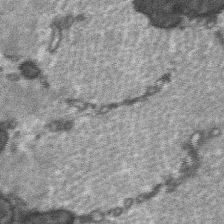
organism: C57BL Mouse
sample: Soleus